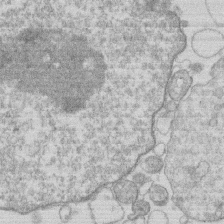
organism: Human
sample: Macrophage cells